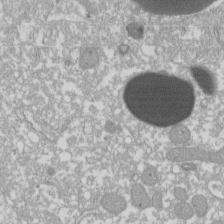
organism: Xenopus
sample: Cilia; centrioles in frog embryo cells